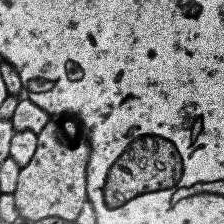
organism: Human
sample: Temporal Lobe